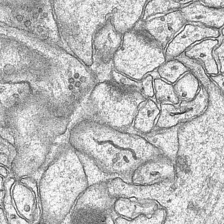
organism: Mouse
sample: CA1 Hippocampus